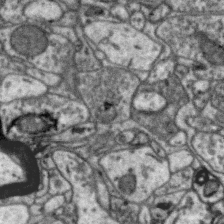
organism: Zebra finch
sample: Brain